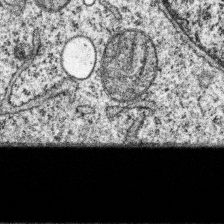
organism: Human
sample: HeLa cells